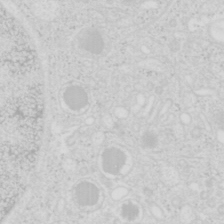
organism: Mouse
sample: Pancreas